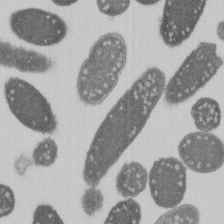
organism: E. coli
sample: Bacterial nucleoid